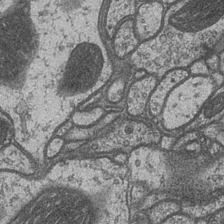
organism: Drosophila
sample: Optic medulla